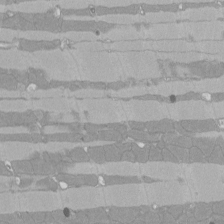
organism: Rat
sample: Left ventricle